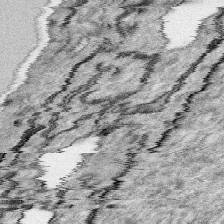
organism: Human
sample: HeLa cells